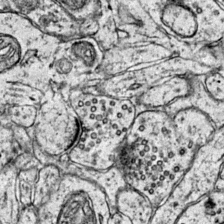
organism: Mouse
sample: Primary visual cortex